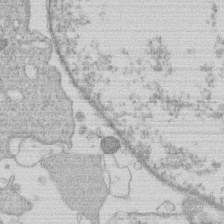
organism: Human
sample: Macrophage cells